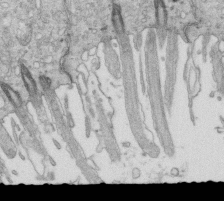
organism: Mouse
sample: Multiciliated cells